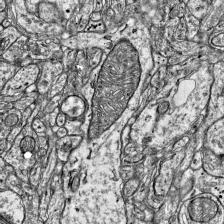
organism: Mouse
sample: Visual Cortex